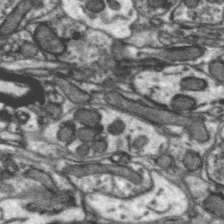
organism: Zebra finch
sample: Brain